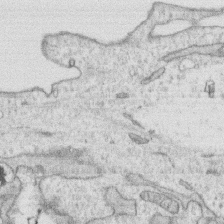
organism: Human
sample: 1205lu cells